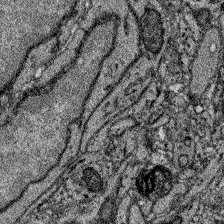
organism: Zebrafish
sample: Larval olfactory bulb